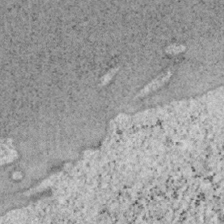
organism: Mouse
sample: OT-I killer T cells with ID8 ovarian cancer cells